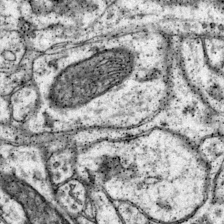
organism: Mouse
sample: Primary visual cortex